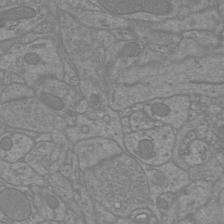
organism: Mouse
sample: Cortical neurons